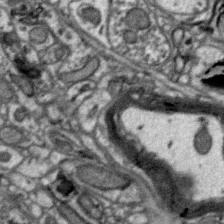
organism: Zebra finch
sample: Brain